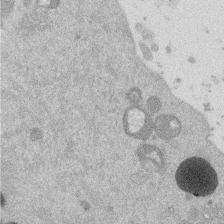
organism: Mouse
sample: Dividing mouse embryo 1 cell stage